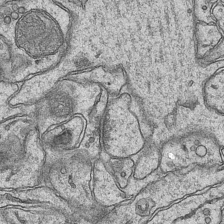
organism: Mouse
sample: CA1 Hippocampus